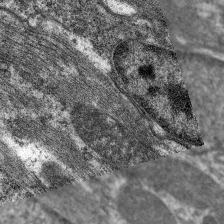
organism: C. elegans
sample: Pharynx